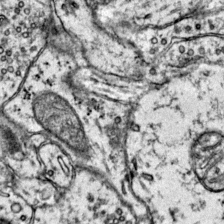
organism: Mouse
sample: Primary visual cortex